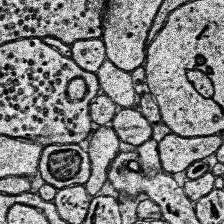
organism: Human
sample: Temporal Lobe